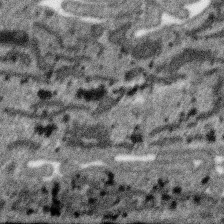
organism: Human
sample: Lung epithelial cells infected with SARS-CoV-2